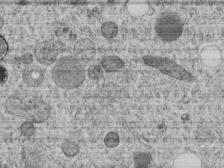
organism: C. elegans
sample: C. elegans embryo early stage